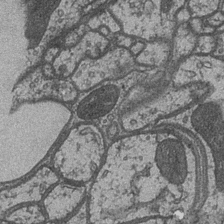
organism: Drosophila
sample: Optic medulla